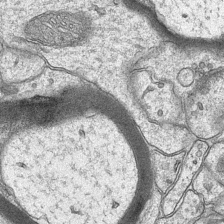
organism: Mouse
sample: CA1 Hippocampus